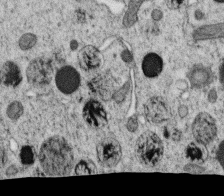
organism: C. elegans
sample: C. elegans oocyte; sperm cells